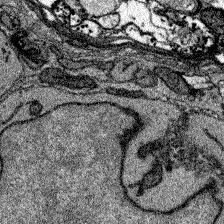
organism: Zebrafish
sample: Larval olfactory bulb